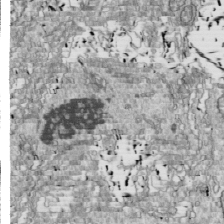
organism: Drosophila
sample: Cell division; meiosis; drosophila spermatocytes